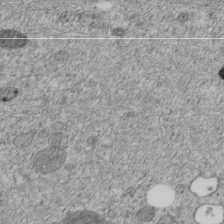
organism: C. elegans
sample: C. elegans embryo early stage